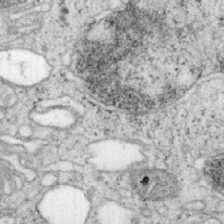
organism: Mouse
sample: OT-I killer T cells with ID8 ovarian cancer cells